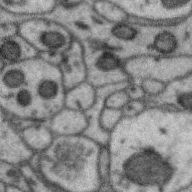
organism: Zebra finch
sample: Brain